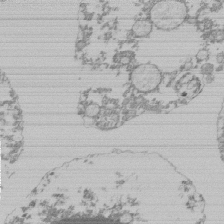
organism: Mouse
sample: Activated Pmel transgenic CD8+ T Cells